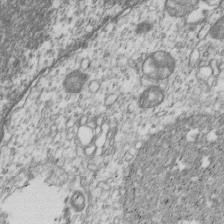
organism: Human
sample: MDA-MB-231 cells